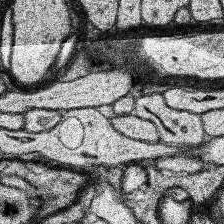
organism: Human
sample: Temporal Lobe